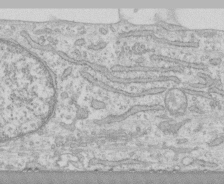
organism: Human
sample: CRL-1474